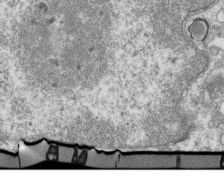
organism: Mouse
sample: Activated OT-1 CD8+ T cells